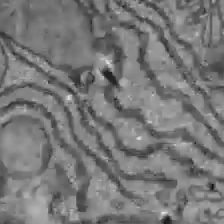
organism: C57BL Mouse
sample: Liver